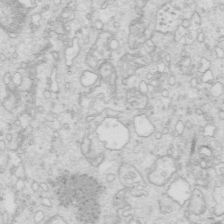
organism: Mouse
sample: Multiciliated cells